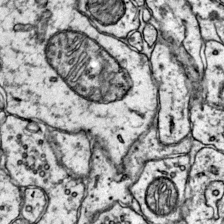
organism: Mouse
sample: Primary visual cortex